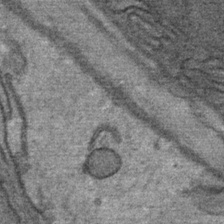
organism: Mouse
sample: Mouse Salivary gland